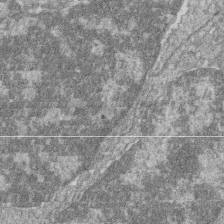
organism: Zebrafish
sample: Cilia; retinal pigment epithelium